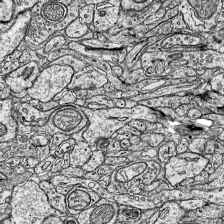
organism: Mouse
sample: Visual Cortex